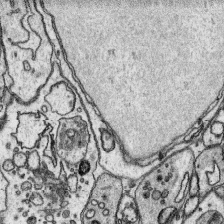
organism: Platynereis dumerilii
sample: Parapodia